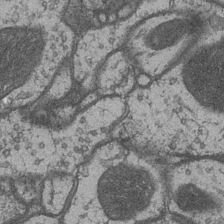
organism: Drosophila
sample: Optic medulla